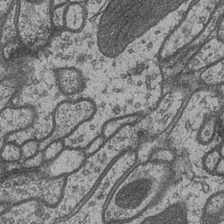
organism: Drosophila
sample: Optic medulla